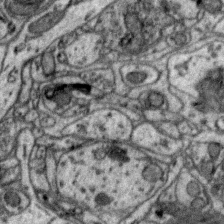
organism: Zebra finch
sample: Brain